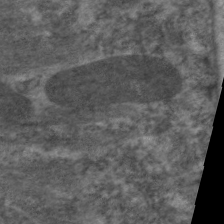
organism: C. elegans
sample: Pharynx